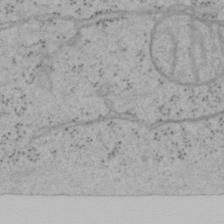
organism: Human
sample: HeLa cells